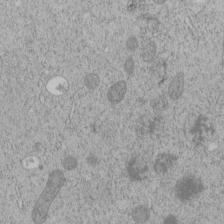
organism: C. elegans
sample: C. elegans embryo early stage